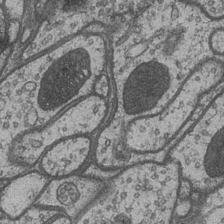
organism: Drosophila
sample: Optic medulla